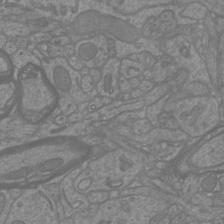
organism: Mouse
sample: Cortical neurons